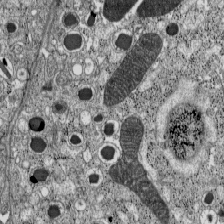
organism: C57BL Mouse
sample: Pancreatic islet